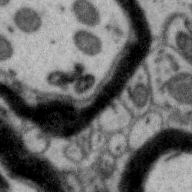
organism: Zebra finch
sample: Brain